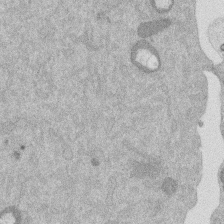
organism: Mouse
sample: Dividing mouse embryo 1 cell stage